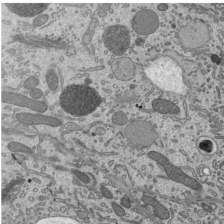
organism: Mouse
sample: Mouse epididymis efferent ductule cilia